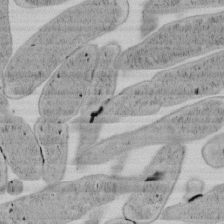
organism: E. coli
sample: Bacterial nucleoid